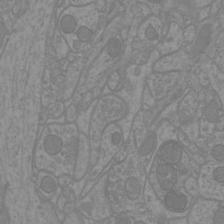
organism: Mouse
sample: Cortical neurons